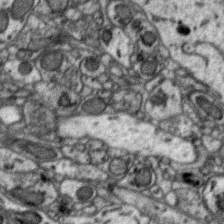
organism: Zebra finch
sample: Brain